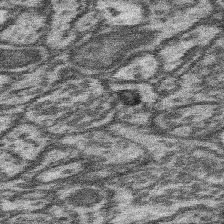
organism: Mouse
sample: Somatosensory cortex neuropil